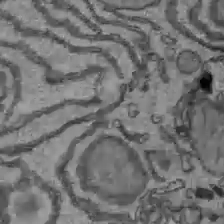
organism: C57BL Mouse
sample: Liver